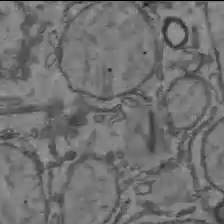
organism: C57BL Mouse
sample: Liver